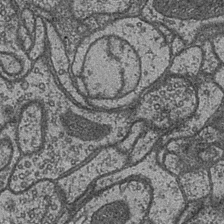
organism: Drosophila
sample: Optic medulla